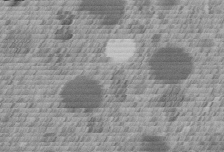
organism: C. elegans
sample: C. elegans embryo early stage